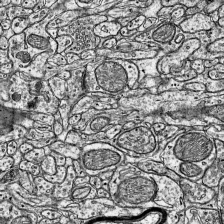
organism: Mouse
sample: Visual Cortex